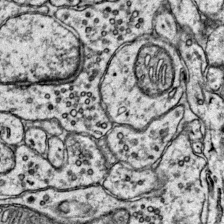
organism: Mouse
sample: Primary visual cortex